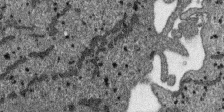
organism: Human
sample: Lung epithelial cells infected with SARS-CoV-2